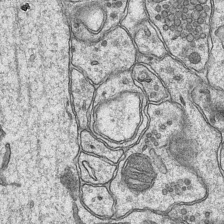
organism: Mouse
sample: CA1 Hippocampus